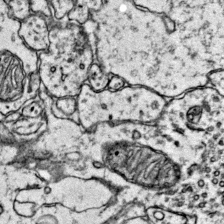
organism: Mouse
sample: Primary visual cortex